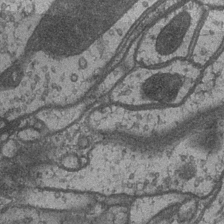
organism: Drosophila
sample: Optic medulla